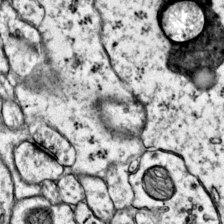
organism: Mouse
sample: Primary visual cortex